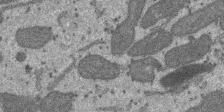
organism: Human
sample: Lung epithelial cells infected with SARS-CoV-2